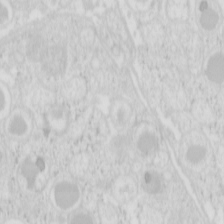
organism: Mouse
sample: Pancreas